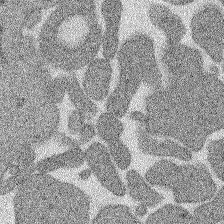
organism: Human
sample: HeLa cells